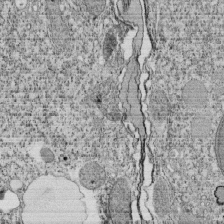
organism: Tetrahymena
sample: Cilia in tetrahymena